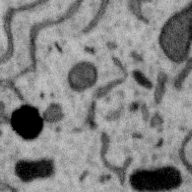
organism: Zebra finch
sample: Brain